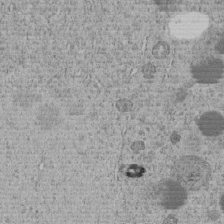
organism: C. elegans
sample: C. elegans embryo early stage